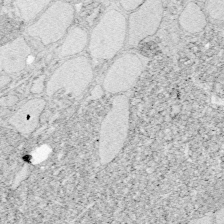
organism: Zebrafish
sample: Whole-Brain